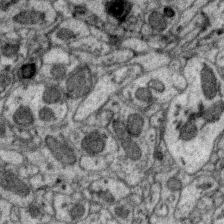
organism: Zebra finch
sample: Brain